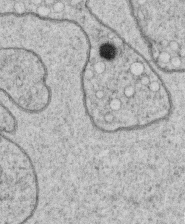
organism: C. elegans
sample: C. elegans oocyte; sperm cells